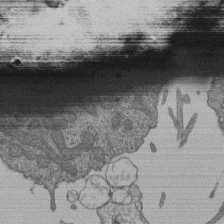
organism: Human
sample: Retinal organoid Rod and Cone cells